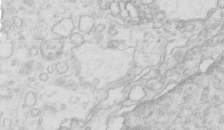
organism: Mouse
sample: Multiciliated cells